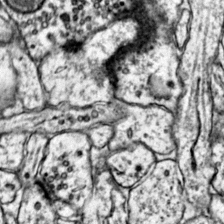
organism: Mouse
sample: Primary visual cortex